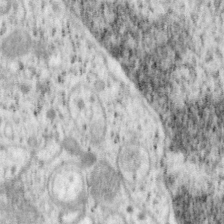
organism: Mouse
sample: OT-I killer T cells with ID8 ovarian cancer cells